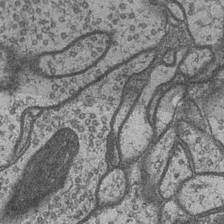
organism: Drosophila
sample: Optic medulla